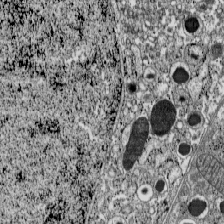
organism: C57BL Mouse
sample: Pancreatic islet